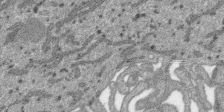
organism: Human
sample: Lung epithelial cells infected with SARS-CoV-2